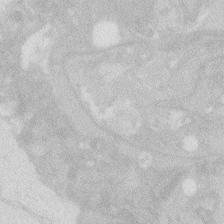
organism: Zebrafish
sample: Macrophage